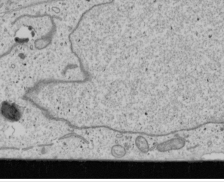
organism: Human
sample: Mitochondria in U2OS cells